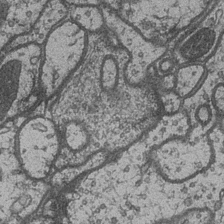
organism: Drosophila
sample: Optic medulla